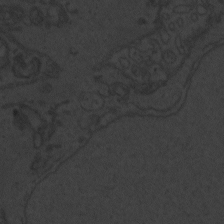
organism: Zebrafish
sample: Macrophage infected with Toxoplasma gondii